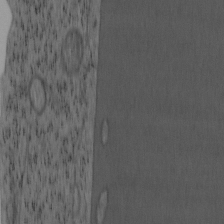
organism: Human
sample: HeLa cells